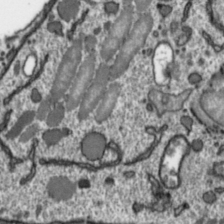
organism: Toxoplasma gondii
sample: Parasites in a vacuole inside a host cell